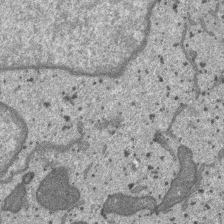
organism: Human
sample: Lung epithelial cells infected with SARS-CoV-2